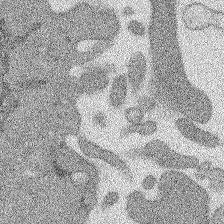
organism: Human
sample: HeLa cells